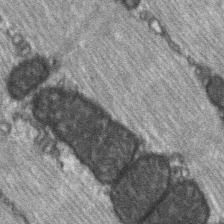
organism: C57BL Mouse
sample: Soleus